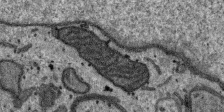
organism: Human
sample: Lung epithelial cells, uninfected (mock) control